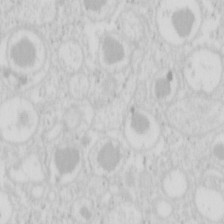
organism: Mouse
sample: Pancreas